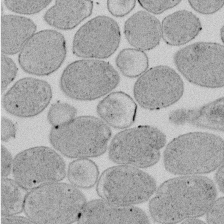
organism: E. coli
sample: Bacterial nucleoid